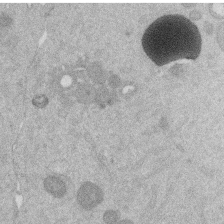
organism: Mouse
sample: Dividing mouse embryo 1 cell stage